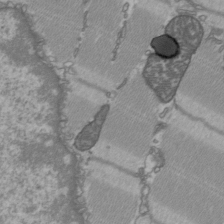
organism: C57BL Mouse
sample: Heart